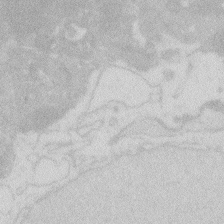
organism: Zebrafish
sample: Macrophage